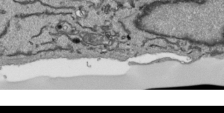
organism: Human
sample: Mitochondria in HCT116 cells